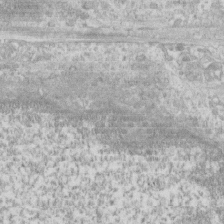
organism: Human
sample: CRL-1474